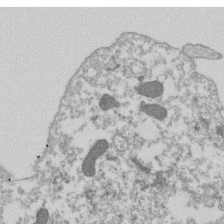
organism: Dictyostelium discoideum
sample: Dictyostelium multivesicular bodies